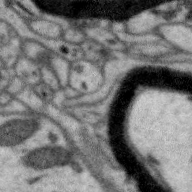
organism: Zebra finch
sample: Brain